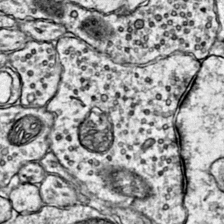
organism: Mouse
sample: Primary visual cortex